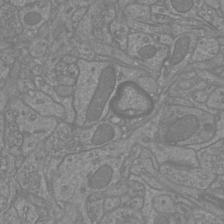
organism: Mouse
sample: Cortical neurons